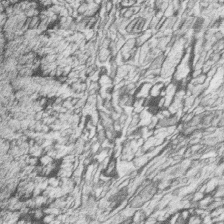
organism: Zebrafish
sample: synaptic ribbons in rod cells and cone cells